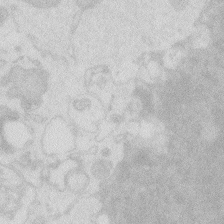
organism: Zebrafish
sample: Macrophage